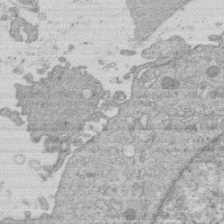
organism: Human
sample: Macrophage cells